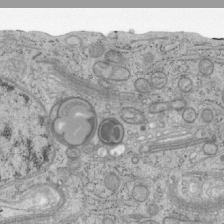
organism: Human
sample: HeLa cells